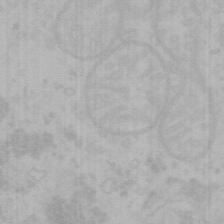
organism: Mouse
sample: Choroid plexus